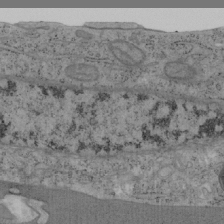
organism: Human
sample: HeLa cells